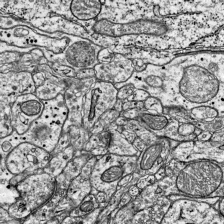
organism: Mouse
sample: Visual Cortex